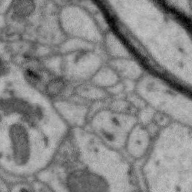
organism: Zebra finch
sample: Brain